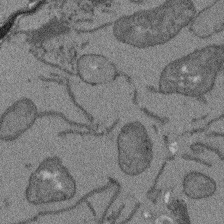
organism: Arabidopsis thaliana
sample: Root tip